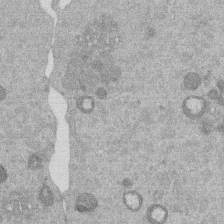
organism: Mouse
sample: Dividing mouse embryo 1 cell stage